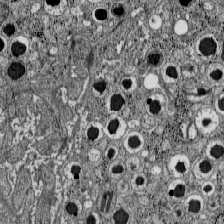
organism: C57BL Mouse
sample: Pancreatic islet